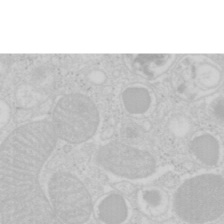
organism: Mouse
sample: Pancreas